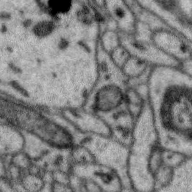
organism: Zebra finch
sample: Brain